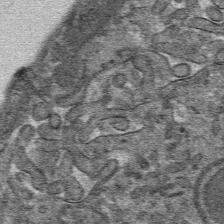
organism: Mouse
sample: Mouse hepatocytes